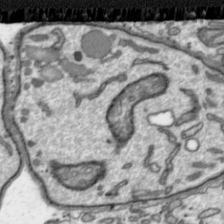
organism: Toxoplasma gondii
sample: Parasites in a vacuole inside a host cell